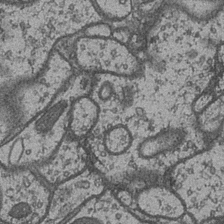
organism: Drosophila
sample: Optic medulla